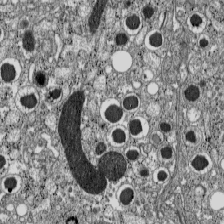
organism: C57BL Mouse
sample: Pancreatic islet